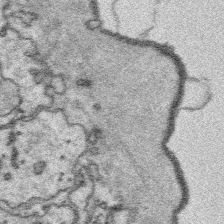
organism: Platynereis dumerilii